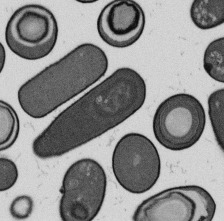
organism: B. subtilis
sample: Bacterial spore